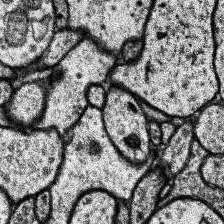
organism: Human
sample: Temporal Lobe